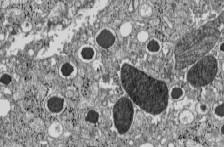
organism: C57BL Mouse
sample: Pancreatic islet